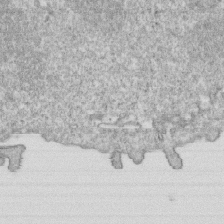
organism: Mouse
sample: Activated OT-1 CD8+ T cells